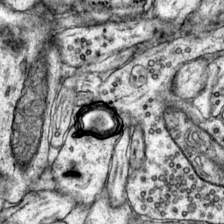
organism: Mouse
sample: Primary visual cortex